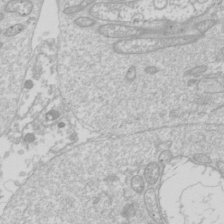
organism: Drosophila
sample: Cell division; meiosis; drosophila spermatocytes